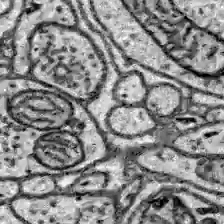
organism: Zebrafish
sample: Brain